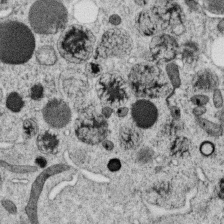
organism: C. elegans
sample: C. elegans oocyte; sperm cells